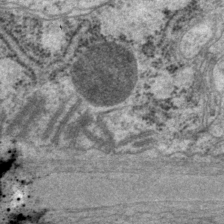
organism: P. pacificus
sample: Pharynx